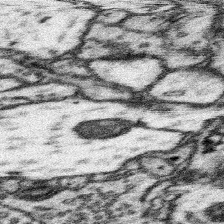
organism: Mouse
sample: Somatosensory cortex neuropil